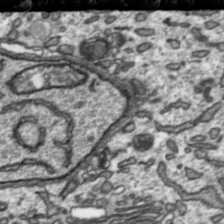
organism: Toxoplasma gondii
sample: Parasites in a vacuole inside a host cell